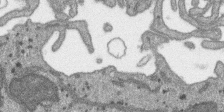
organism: Human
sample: Lung epithelial cells infected with SARS-CoV-2